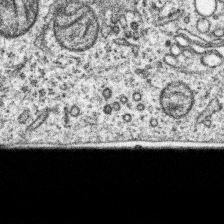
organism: Human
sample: HeLa cells